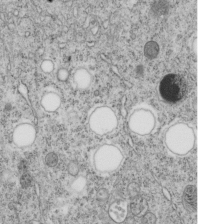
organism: C. elegans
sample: C. elegans embryo early stage